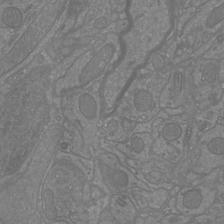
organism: Mouse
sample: Cortical neurons